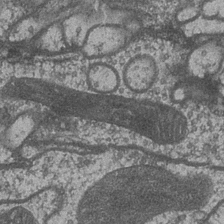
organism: Drosophila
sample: Optic medulla